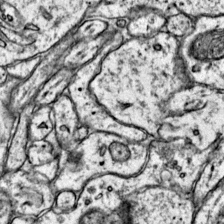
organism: Mouse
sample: Primary visual cortex